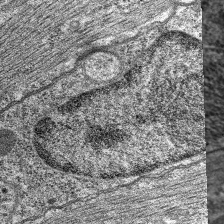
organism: C. elegans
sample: Pharynx